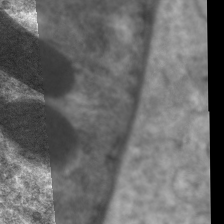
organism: C. elegans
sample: Pharynx